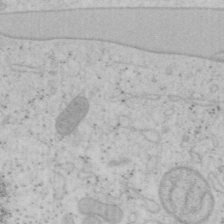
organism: Human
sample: HeLa cells